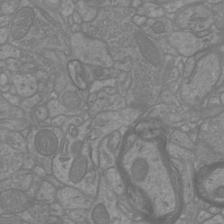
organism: Mouse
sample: Cortical neurons